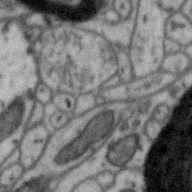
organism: Zebra finch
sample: Brain